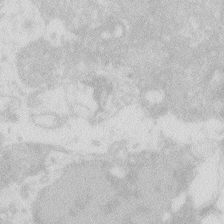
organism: Zebrafish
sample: Macrophage